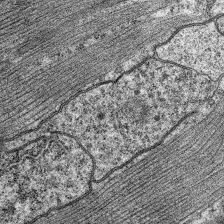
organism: C. elegans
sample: Pharynx